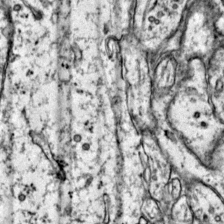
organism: Mouse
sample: Primary visual cortex